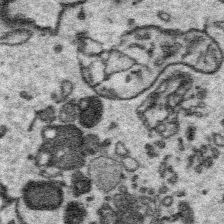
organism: Platynereis dumerilii